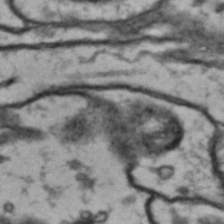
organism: Drosophila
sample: Brain